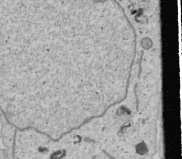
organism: Human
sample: Mitochondria in U2OS cells